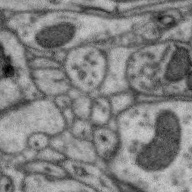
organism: Zebra finch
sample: Brain